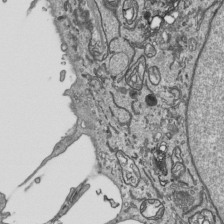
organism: Human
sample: Mitochondria in HCT116 cells